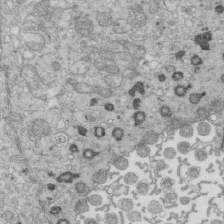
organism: Mouse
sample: Multiciliated cells